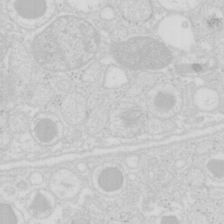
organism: Mouse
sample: Pancreas